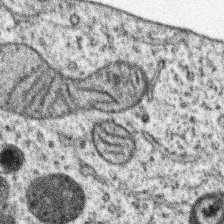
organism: Human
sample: HeLa cells